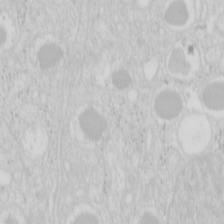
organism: Mouse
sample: Pancreas